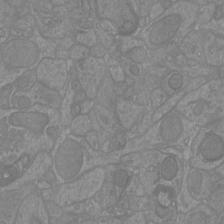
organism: Mouse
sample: Cortical neurons